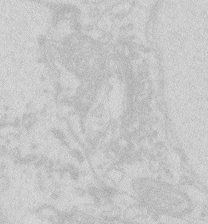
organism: Zebrafish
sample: Macrophage